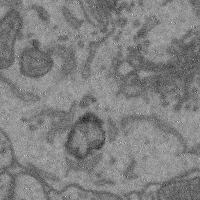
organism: Mouse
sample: Cerebral cortex